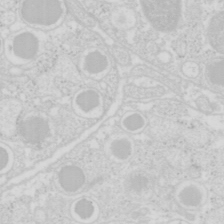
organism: Mouse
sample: Pancreas